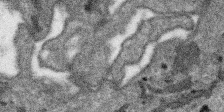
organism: Human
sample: Lung epithelial cells infected with SARS-CoV-2